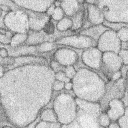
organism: Rabbit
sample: Retina